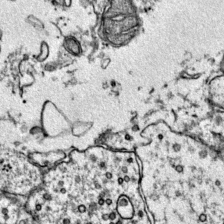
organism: Mouse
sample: Primary visual cortex